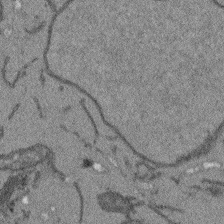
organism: Arabidopsis thaliana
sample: Root tip